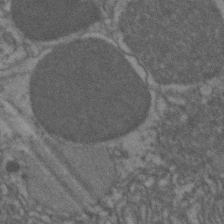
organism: Zebrafish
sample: Zebrafish embryo